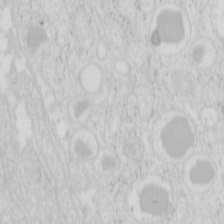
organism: Mouse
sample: Pancreas